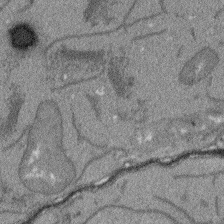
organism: Arabidopsis thaliana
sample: Root tip